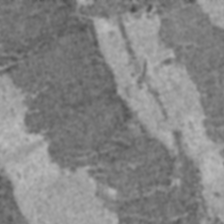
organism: C57BL Mouse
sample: Heart